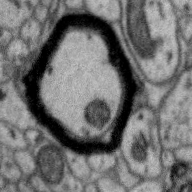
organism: Zebra finch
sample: Brain